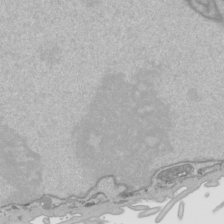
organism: Human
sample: Mitochondria in HCT116 cells